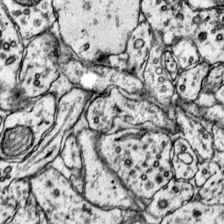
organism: Mouse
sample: Primary visual cortex